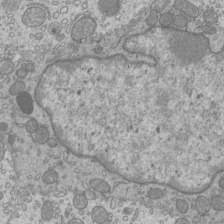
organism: Mouse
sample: Cilia; mouse epididymis